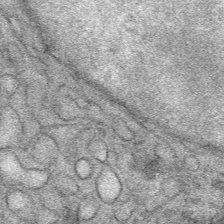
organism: Mouse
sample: Mouse Salivary gland